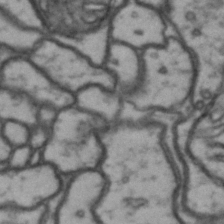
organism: Drosophila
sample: Brain